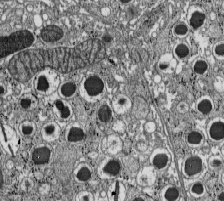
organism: C57BL Mouse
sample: Pancreatic islet